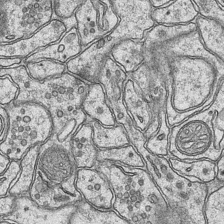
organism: Mouse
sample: CA1 Hippocampus